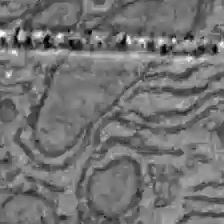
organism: C57BL Mouse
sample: Liver